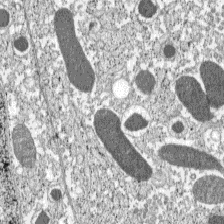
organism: C57BL Mouse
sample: Pancreatic islet